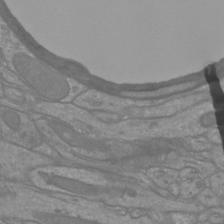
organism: Mouse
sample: Cortical neurons